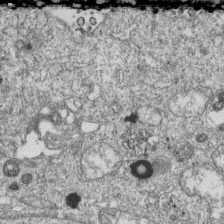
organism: Human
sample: HeLa cell HIV synapse